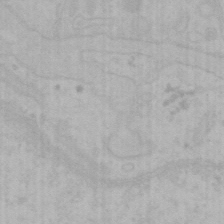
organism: Mouse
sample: Choroid plexus